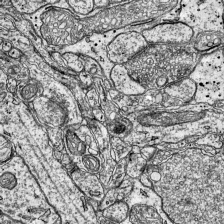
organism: Mouse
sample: Visual Cortex